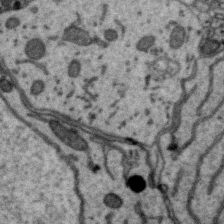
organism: Zebra finch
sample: Brain